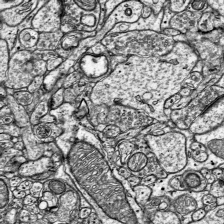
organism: Mouse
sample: Visual Cortex